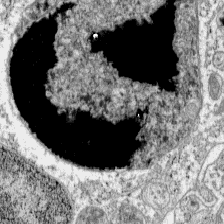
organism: C57BL Mouse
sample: Pancreatic islet